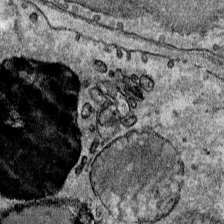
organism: Mouse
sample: Mouse Salivary gland